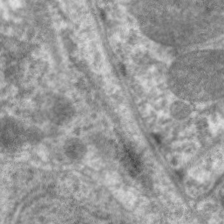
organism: C. elegans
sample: Pharynx